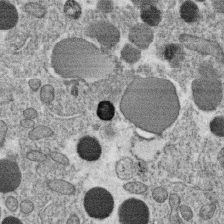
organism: C. elegans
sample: C. elegans oocyte; sperm cells